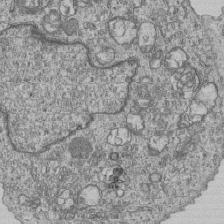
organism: Human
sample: MDA-MB-231 cells